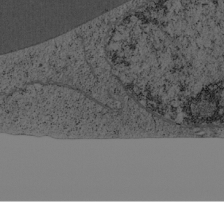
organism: African green monkey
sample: COS-7 cells